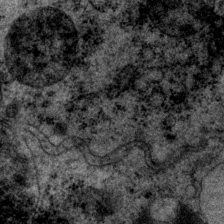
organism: P. pacificus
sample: Pharynx